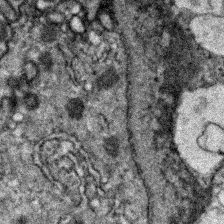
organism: Zebrafish